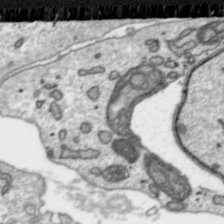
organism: Toxoplasma gondii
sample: Parasites in a vacuole inside a host cell